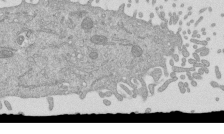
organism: Mouse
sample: ED-1 cell nuclei; centrioles